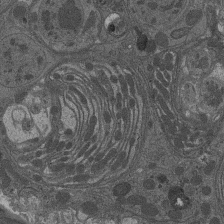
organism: Drosophila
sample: Antenna